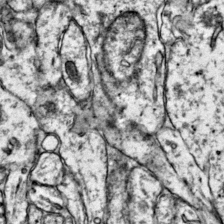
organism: Mouse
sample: Primary visual cortex